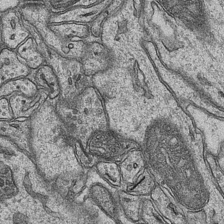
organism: Mouse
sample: CA1 Hippocampus